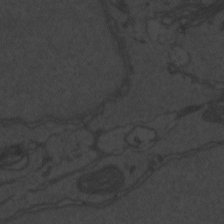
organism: Zebrafish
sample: Macrophage infected with Toxoplasma gondii